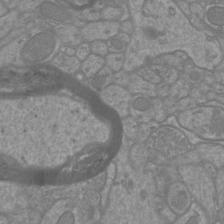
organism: Mouse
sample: Cortical neurons